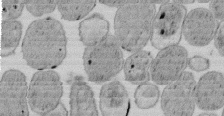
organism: E. coli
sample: Bacterial nucleoid